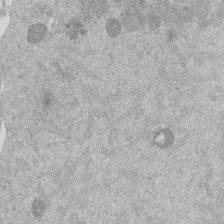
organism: Mouse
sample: Dividing mouse embryo 1 cell stage